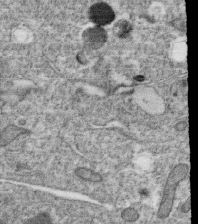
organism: C. elegans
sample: C. elegans oocyte; sperm cells